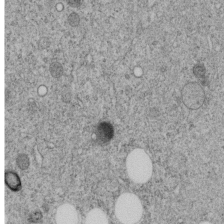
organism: C. elegans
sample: C. elegans embryo early stage